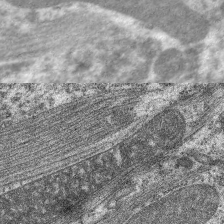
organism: C. elegans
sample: Pharynx